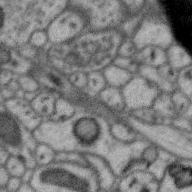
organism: Zebra finch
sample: Brain